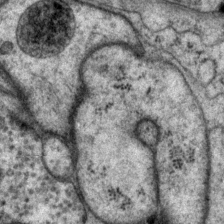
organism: P. pacificus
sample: Pharynx